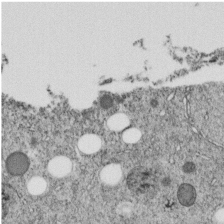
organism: C. elegans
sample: C. elegans embryo early stage